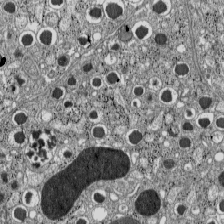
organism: C57BL Mouse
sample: Pancreatic islet